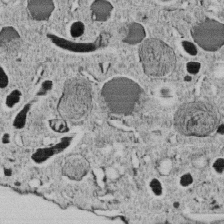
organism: C. elegans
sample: C. elegans embryo early stage